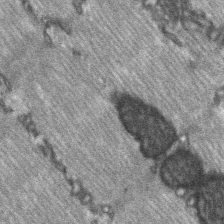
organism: C57BL Mouse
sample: Soleus